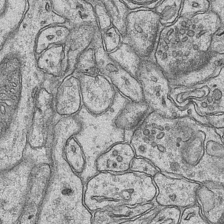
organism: Mouse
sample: CA1 Hippocampus